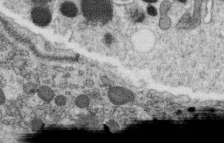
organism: C. elegans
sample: C. elegans oocyte; sperm cells